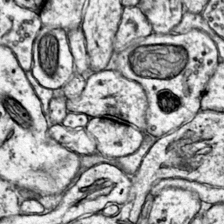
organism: Mouse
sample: Primary visual cortex